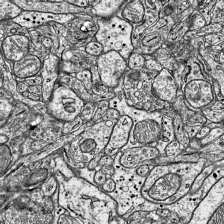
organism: Mouse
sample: Visual Cortex